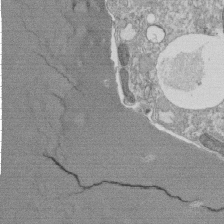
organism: Tetrahymena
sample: Cilia in tetrahymena